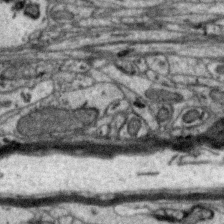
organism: Zebra finch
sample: Brain